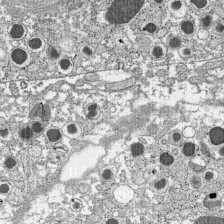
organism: C57BL Mouse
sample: Pancreatic islet